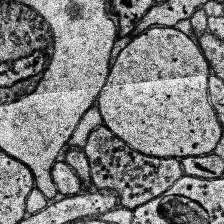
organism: Human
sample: Temporal Lobe